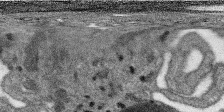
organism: Human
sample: Lung epithelial cells infected with SARS-CoV-2